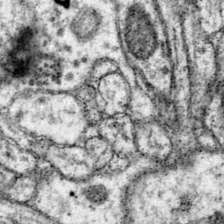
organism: Mouse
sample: Primary visual cortex